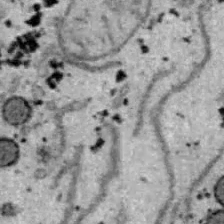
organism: Mouse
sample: Liver from an obese (ob/ob) mouse